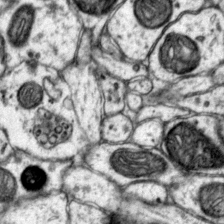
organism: Mouse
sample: Primary visual cortex